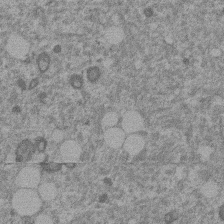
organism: Mouse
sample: Dividing mouse embryo 1 cell stage